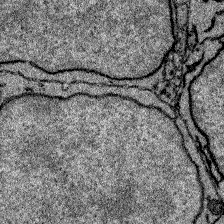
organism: Zebrafish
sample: Larval olfactory bulb